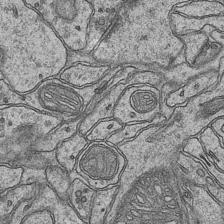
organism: Mouse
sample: CA1 Hippocampus